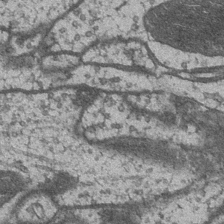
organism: Drosophila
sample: Optic medulla